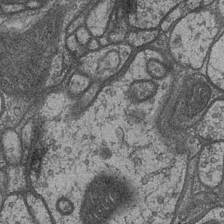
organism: Drosophila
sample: Optic medulla